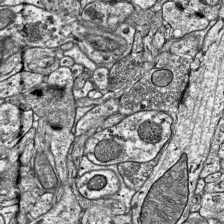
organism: Mouse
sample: Visual Cortex